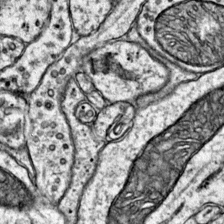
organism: Mouse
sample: Primary visual cortex